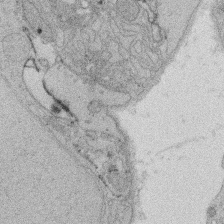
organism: Rat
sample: Salivary granule